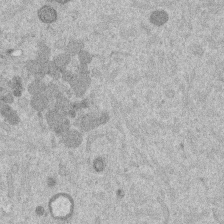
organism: Mouse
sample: Dividing mouse embryo 1 cell stage